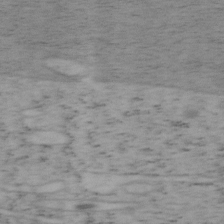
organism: Mouse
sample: OT-I killer T cells with ID8 ovarian cancer cells